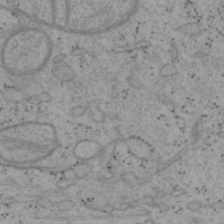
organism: Human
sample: HeLa cells